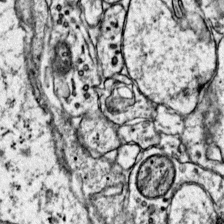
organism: Mouse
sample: Primary visual cortex